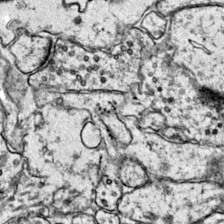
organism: Mouse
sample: Primary visual cortex